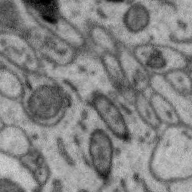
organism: Zebra finch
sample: Brain